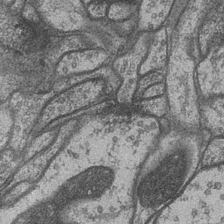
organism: Drosophila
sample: Optic medulla